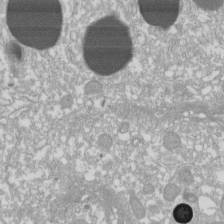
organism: Xenopus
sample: Cilia; centrioles in frog embryo cells